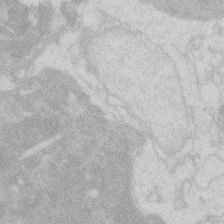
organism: Zebrafish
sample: Macrophage